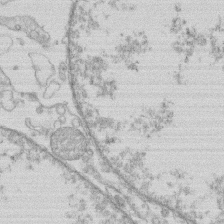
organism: Human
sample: Macrophage cells